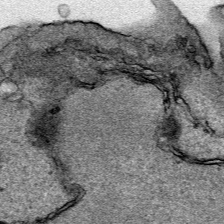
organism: Human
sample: Mitochondria in HCT116 cells